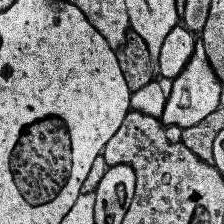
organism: Human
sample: Temporal Lobe